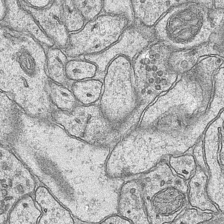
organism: Mouse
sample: CA1 Hippocampus